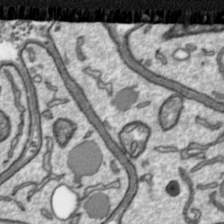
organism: Toxoplasma gondii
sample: Parasites in a vacuole inside a host cell